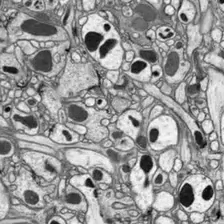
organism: Drosophila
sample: Optic lobe